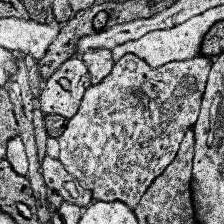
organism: Human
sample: Temporal Lobe